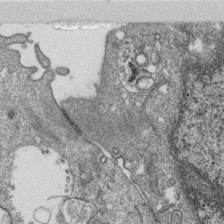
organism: African green monkey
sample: Vero E6 cells infected with SARS-CoV-2